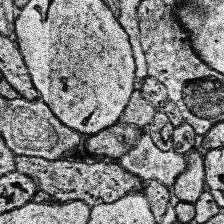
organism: Human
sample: Temporal Lobe